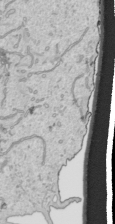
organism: Human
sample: Mitochondria in HCT116 cells